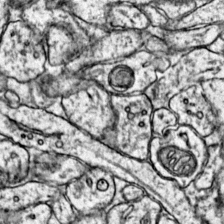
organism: Mouse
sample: Primary visual cortex